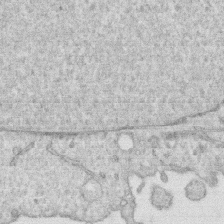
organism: Human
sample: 1205lu cells